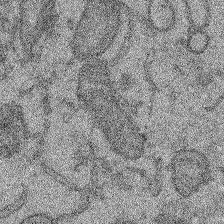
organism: Human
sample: HeLa cells